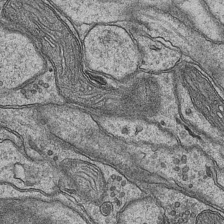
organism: Mouse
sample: CA1 Hippocampus